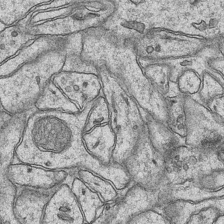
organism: Mouse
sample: CA1 Hippocampus